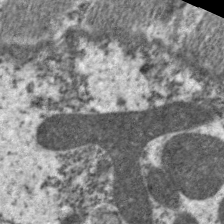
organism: C. elegans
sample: Pharynx